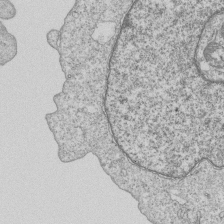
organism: Human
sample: MDA-MB-231 cells